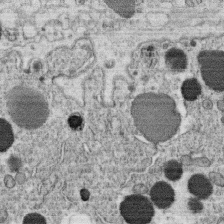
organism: C. elegans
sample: C. elegans oocyte; sperm cells